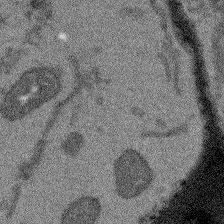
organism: Arabidopsis thaliana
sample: Root tip